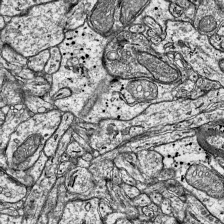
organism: Mouse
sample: Visual Cortex